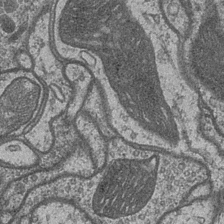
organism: Drosophila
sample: Optic medulla